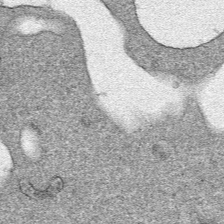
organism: Human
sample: Mitochondria in HCT116 cells